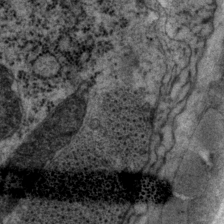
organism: P. pacificus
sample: Pharynx